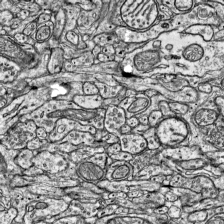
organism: Mouse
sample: Visual Cortex